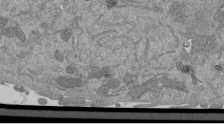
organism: Mouse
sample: ED-1 cell nuclei; centrioles